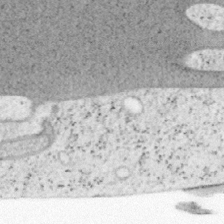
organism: Mouse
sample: OT-I killer T cells with ID8 ovarian cancer cells